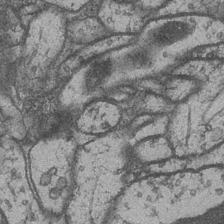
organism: Drosophila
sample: Optic medulla